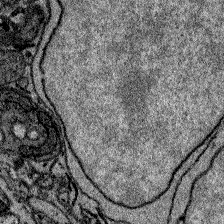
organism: Zebrafish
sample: Larval olfactory bulb